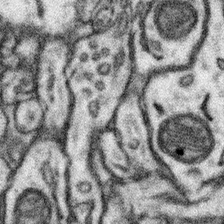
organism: Mouse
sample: Somatosensory cortex neuropil